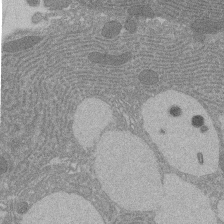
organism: Rat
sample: Salivary granule